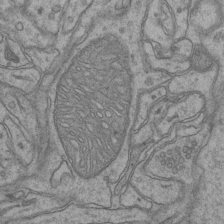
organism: Mouse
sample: CA1 Hippocampus